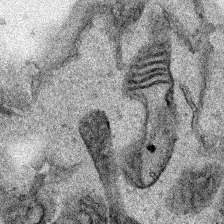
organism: Human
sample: Mitochondria in HCT116 cells